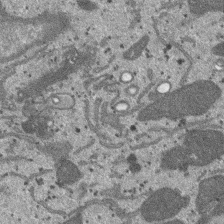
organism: Human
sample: Lung epithelial cells infected with SARS-CoV-2